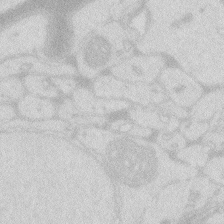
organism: Zebrafish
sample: Macrophage